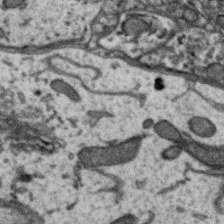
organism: Zebra finch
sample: Brain